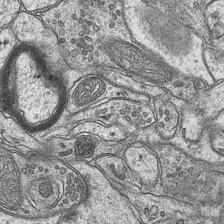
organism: Mouse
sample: CA1 Hippocampus